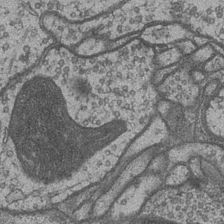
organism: Drosophila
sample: Optic medulla